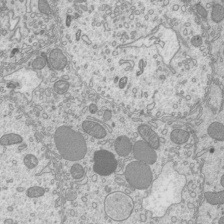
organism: Mouse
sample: Cilia; mouse epididymis